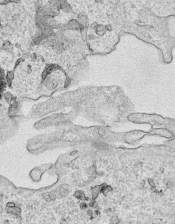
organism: Human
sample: Mitochondria in HCT116 cells